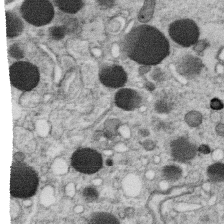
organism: C. elegans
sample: C. elegans oocyte; sperm cells